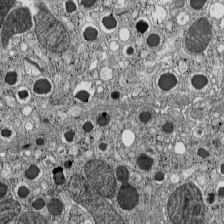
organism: C57BL Mouse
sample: Pancreatic islet